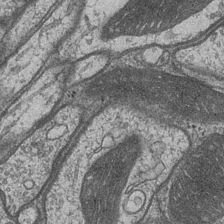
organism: Drosophila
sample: Optic medulla